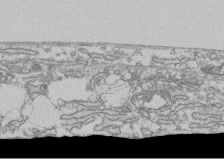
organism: Human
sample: Fibroblast cells